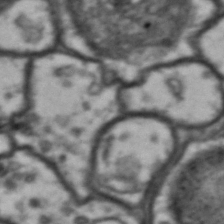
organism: Drosophila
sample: Brain